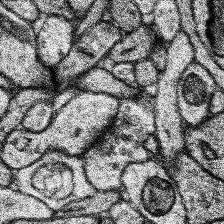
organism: Human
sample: Temporal Lobe